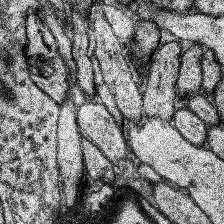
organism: Human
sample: Temporal Lobe